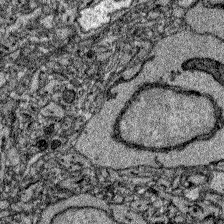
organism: Zebrafish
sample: Larval olfactory bulb